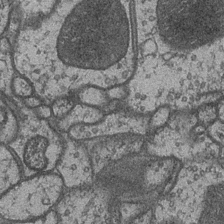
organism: Drosophila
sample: Optic medulla